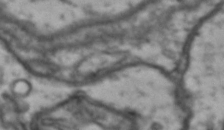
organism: Drosophila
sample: Brain